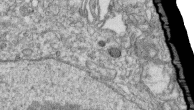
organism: Human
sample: HeLa cell HIV synapse